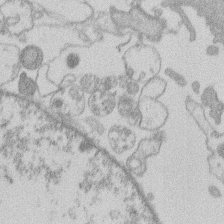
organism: Human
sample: Macrophage cells